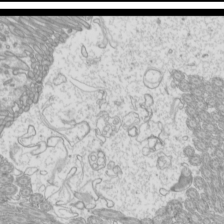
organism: Mouse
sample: Cilia; mouse epididymis